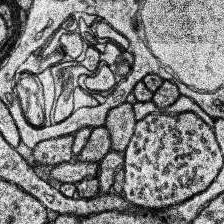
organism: Human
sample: Temporal Lobe